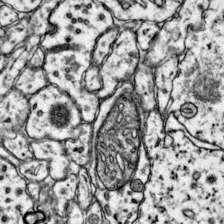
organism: Mouse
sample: Primary visual cortex